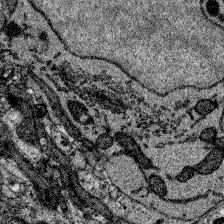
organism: Zebrafish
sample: Larval olfactory bulb